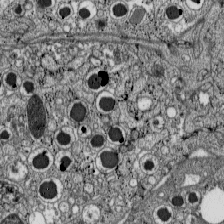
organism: C57BL Mouse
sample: Pancreatic islet